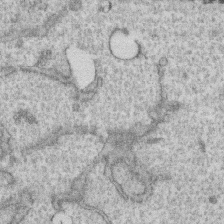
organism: Human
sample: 1205lu cells